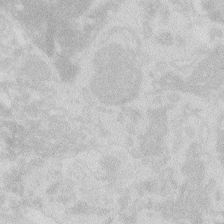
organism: Zebrafish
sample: Macrophage